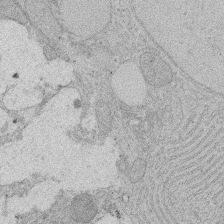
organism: Rat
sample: Salivary granule